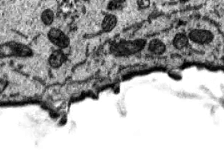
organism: Human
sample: HeLa cells